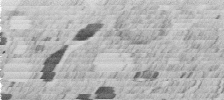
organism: C. elegans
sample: C. elegans embryo early stage